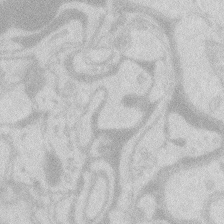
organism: Zebrafish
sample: Macrophage